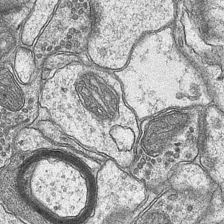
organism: Mouse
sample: CA1 Hippocampus